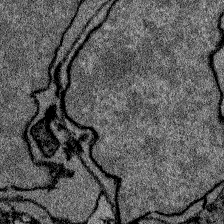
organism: Zebrafish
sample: Larval olfactory bulb